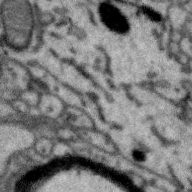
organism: Zebra finch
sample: Brain